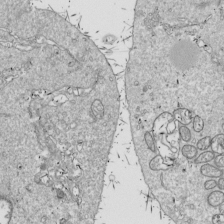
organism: Drosophila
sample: Cell division; meiosis; drosophila spermatocytes